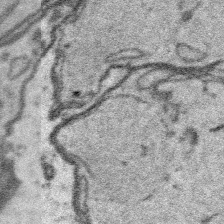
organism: Platynereis dumerilii